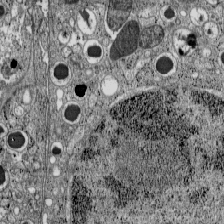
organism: C57BL Mouse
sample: Pancreatic islet